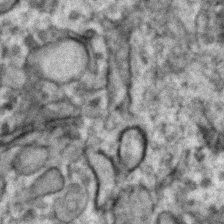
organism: Zebrafish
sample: Zebrafish embryo